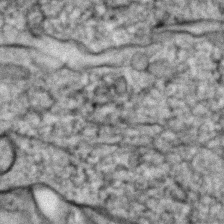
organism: Zebrafish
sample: Zebrafish embryo